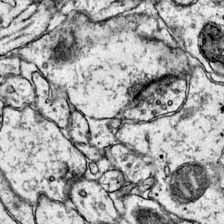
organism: Mouse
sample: Primary visual cortex